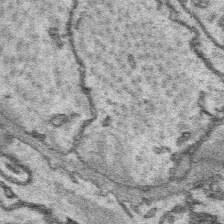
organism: Platynereis dumerilii